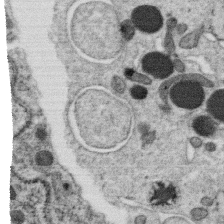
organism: C. elegans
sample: C. elegans oocyte; sperm cells